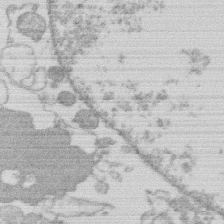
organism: Human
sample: Macrophage cells